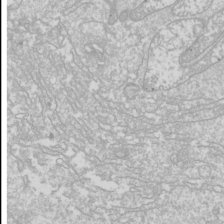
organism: Drosophila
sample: Cell division; meiosis; drosophila spermatocytes